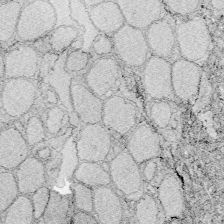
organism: Zebrafish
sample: Whole-Brain